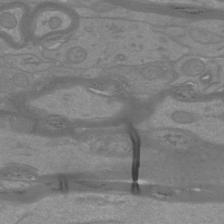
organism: Mouse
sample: Cortical neurons